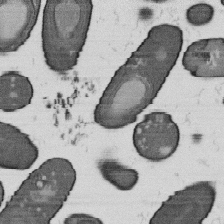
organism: B. subtilis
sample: Bacterial spore